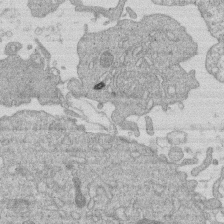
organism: Human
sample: Macrophage cells